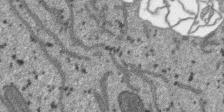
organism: Human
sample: Lung epithelial cells infected with SARS-CoV-2